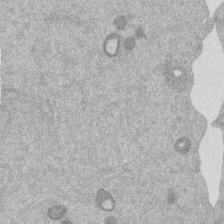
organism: Mouse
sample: Dividing mouse embryo 1 cell stage